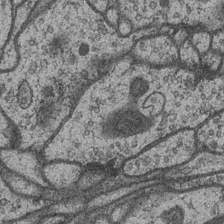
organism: Drosophila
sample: Optic medulla